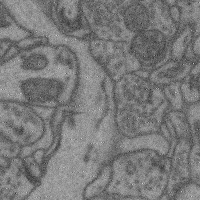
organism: Mouse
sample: Cerebral cortex